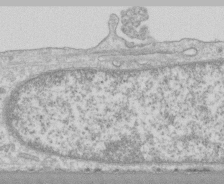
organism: Human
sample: CRL-1474